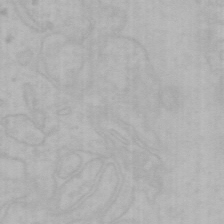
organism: Mouse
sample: Choroid plexus